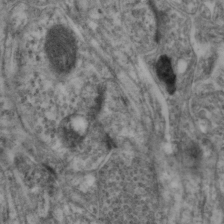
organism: Mouse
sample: Neocortex